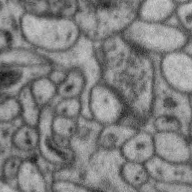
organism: Zebra finch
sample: Brain